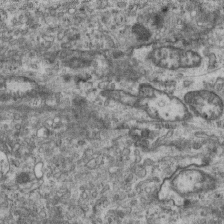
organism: Mouse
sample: Centriole in ependymal cells